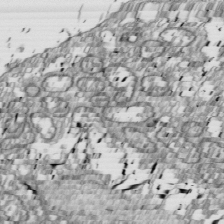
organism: Drosophila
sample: Cell division; meiosis; drosophila spermatocytes